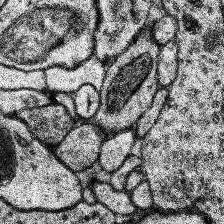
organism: Human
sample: Temporal Lobe